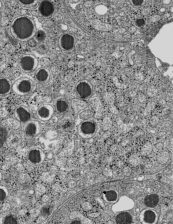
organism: C57BL Mouse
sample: Pancreatic islet